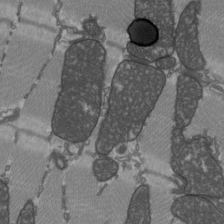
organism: C57BL Mouse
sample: Heart